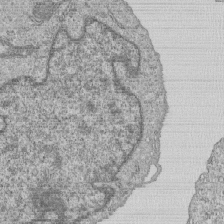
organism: Human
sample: MDA-MB-231 cells